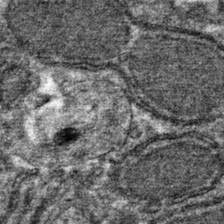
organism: Mouse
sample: Mouse hepatocytes